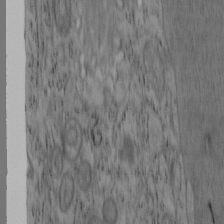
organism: Human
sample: HeLa cells